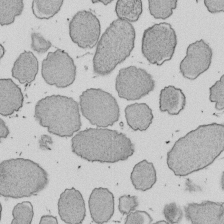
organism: E. coli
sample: Bacterial nucleoid